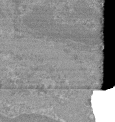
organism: Mouse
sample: Glomerulus